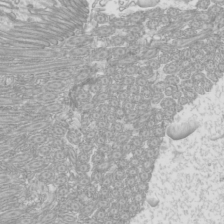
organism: Mouse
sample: Cilia; mouse epididymis